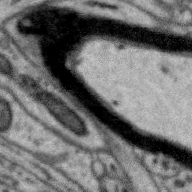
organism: Zebra finch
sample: Brain